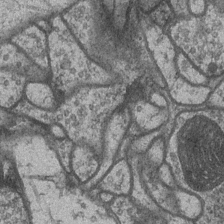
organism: Drosophila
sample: Optic medulla